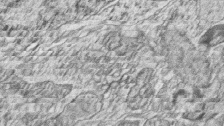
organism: Zebrafish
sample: synaptic ribbons in rod cells and cone cells